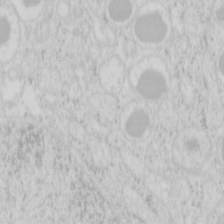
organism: Mouse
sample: Pancreas